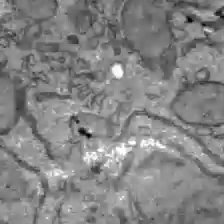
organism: C57BL Mouse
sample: Liver